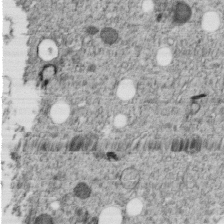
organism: C. elegans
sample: C. elegans embryo early stage